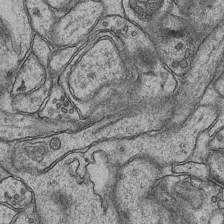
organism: Mouse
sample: CA1 Hippocampus